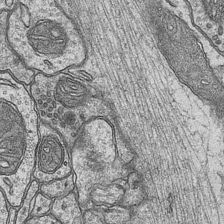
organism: Mouse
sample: CA1 Hippocampus